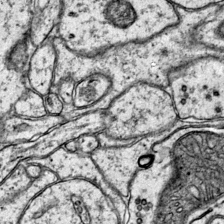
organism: Mouse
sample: Primary visual cortex